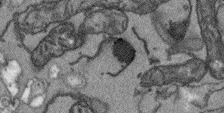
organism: Arabidopsis thaliana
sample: Root tip